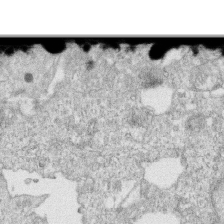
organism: Human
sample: HeLa cell HIV synapse